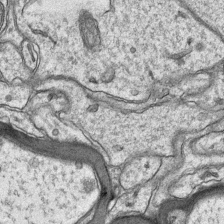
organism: Mouse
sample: CA1 Hippocampus